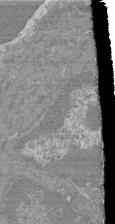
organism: Mouse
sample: Glomerulus